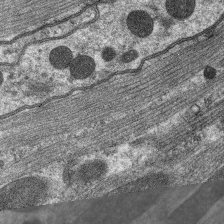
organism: C. elegans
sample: Pharynx